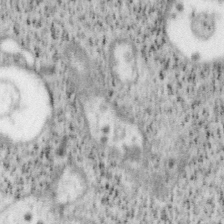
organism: Mouse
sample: OT-I killer T cells with ID8 ovarian cancer cells